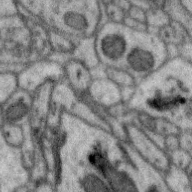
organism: Zebra finch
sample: Brain